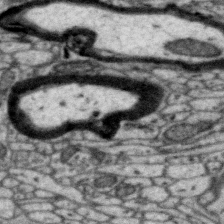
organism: Zebra finch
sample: Brain